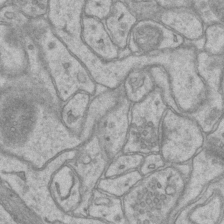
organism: Mouse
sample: CA1 Hippocampus